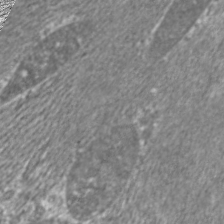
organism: C. elegans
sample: Pharynx